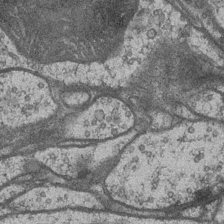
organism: Drosophila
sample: Optic medulla